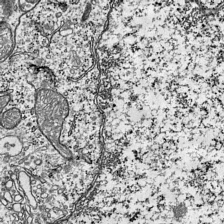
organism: Mouse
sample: Visual Cortex